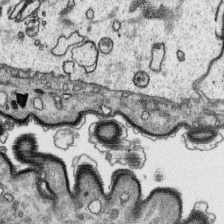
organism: Platynereis dumerilii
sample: Parapodia